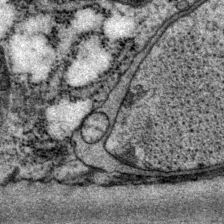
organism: P. pacificus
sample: Pharynx